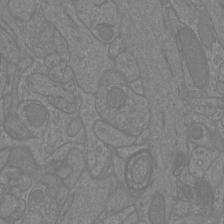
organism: Mouse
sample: Cortical neurons